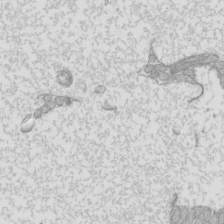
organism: Mouse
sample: Cilia; mouse epididymis